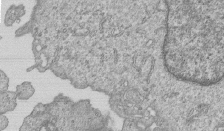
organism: Human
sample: MDA-MB-231 cells